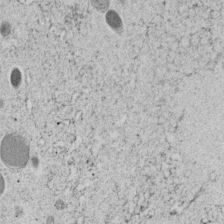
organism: C. elegans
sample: C. elegans embryo early stage